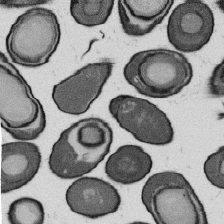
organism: B. subtilis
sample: Bacterial spore